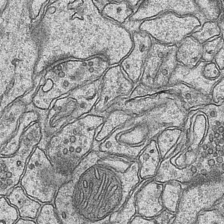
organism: Mouse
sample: CA1 Hippocampus